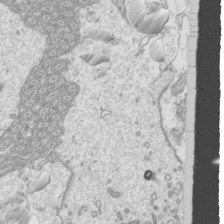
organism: Mouse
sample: Cilia; mouse epididymis